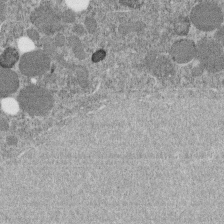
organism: C. elegans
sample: C. elegans embryo early stage